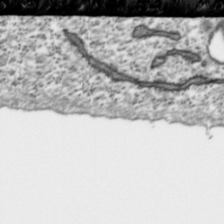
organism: Toxoplasma gondii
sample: Parasites in a vacuole inside a host cell